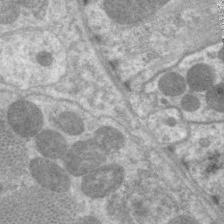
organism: C. elegans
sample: Pharynx